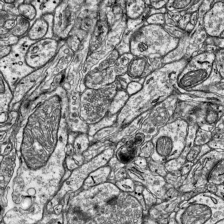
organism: Mouse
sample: Visual Cortex